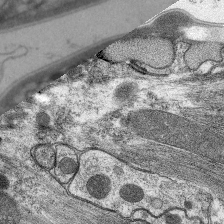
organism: C. elegans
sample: Pharynx